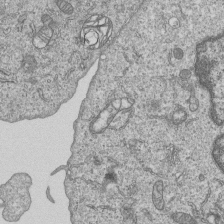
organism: Human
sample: MDA-MB-231 cells